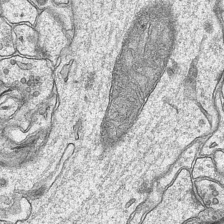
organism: Mouse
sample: CA1 Hippocampus